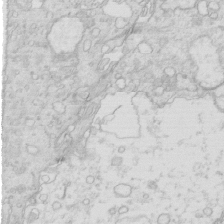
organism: Mouse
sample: Multiciliated cells